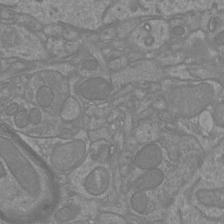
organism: Mouse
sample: Cortical neurons